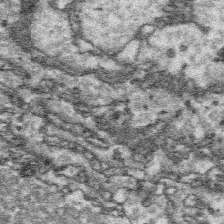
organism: Platynereis dumerilii